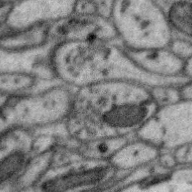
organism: Zebra finch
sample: Brain